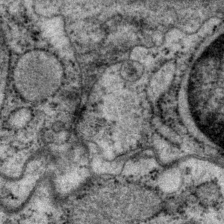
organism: P. pacificus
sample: Pharynx